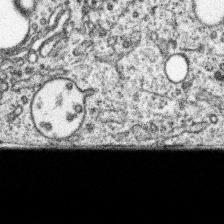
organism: Human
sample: HeLa cells